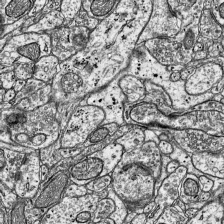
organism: Mouse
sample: Visual Cortex